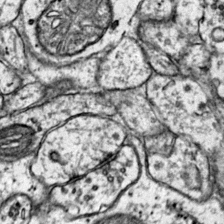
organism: Mouse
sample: Primary visual cortex